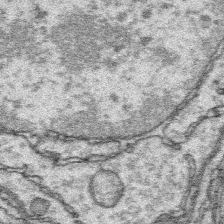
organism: Platynereis dumerilii